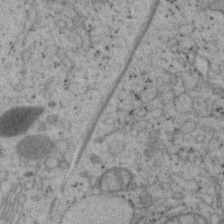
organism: Human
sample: HeLa cells